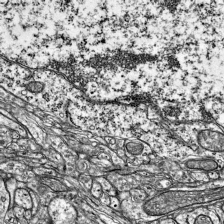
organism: Mouse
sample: Visual Cortex